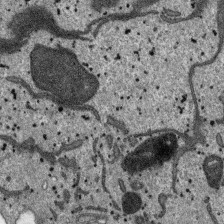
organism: Human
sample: Lung epithelial cells, uninfected (mock) control